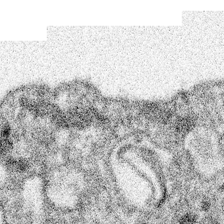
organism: Spongilla lacustris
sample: Neuroid cell